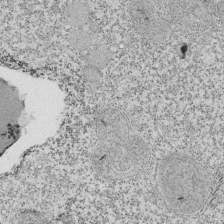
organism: Tetrahymena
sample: Cilia in tetrahymena